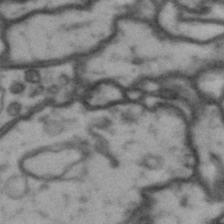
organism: Drosophila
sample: Brain